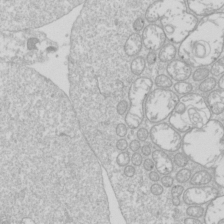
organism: Drosophila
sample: Cell division; meiosis; drosophila spermatocytes